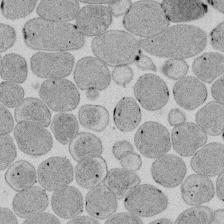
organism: E. coli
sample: Bacterial nucleoid